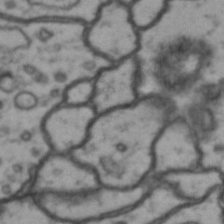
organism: Drosophila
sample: Brain